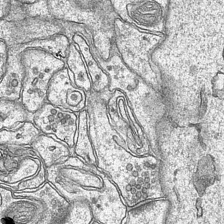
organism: Mouse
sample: CA1 Hippocampus